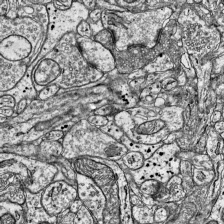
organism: Mouse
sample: Visual Cortex